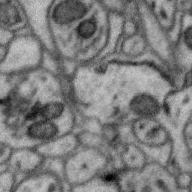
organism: Zebra finch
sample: Brain